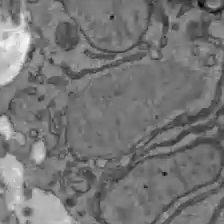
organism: C57BL Mouse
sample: Liver